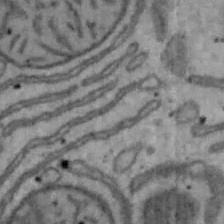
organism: Mouse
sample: Liver